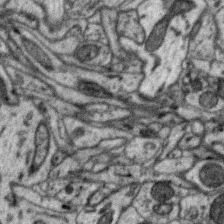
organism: Zebra finch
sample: Brain